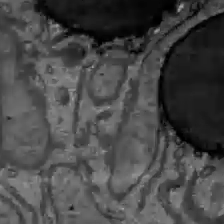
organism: C57BL Mouse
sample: Liver